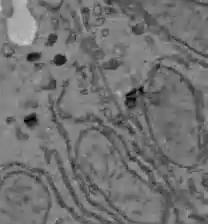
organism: C57BL Mouse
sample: Liver